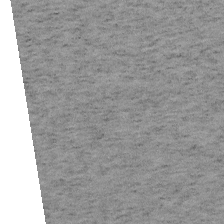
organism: Mouse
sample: OT-I killer T cells with ID8 ovarian cancer cells